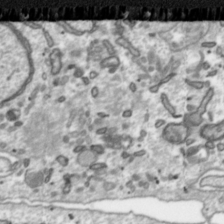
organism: Toxoplasma gondii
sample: Parasites in a vacuole inside a host cell